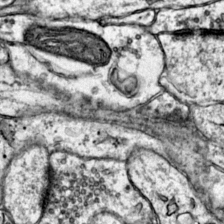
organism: Mouse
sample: Primary visual cortex